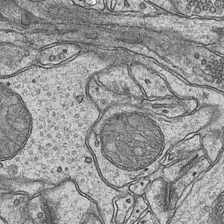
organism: Mouse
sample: CA1 Hippocampus